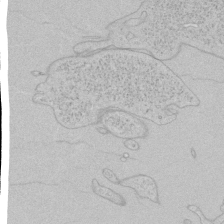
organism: Human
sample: Mitochondria in HCT116 cells